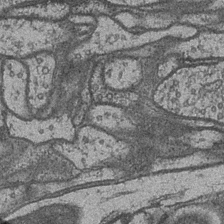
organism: Drosophila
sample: Optic medulla